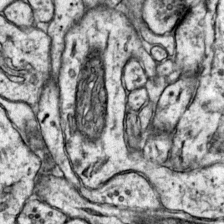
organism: Mouse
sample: Primary visual cortex